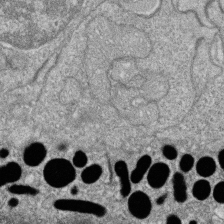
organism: Zebrafish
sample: Cilia; retinal pigment epithelium